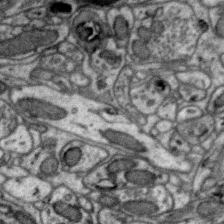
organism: Zebra finch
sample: Brain